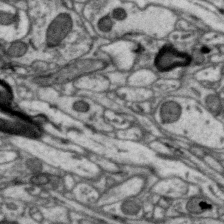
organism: Zebra finch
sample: Brain